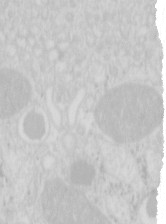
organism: Mouse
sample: Pancreas